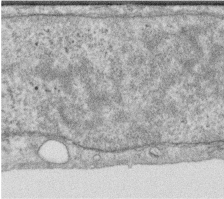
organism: Human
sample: Centriole in RPE cells